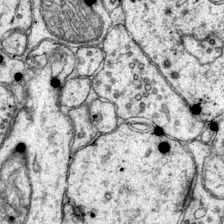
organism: Mouse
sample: Primary visual cortex